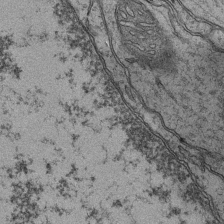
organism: Mouse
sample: CA1 Hippocampus